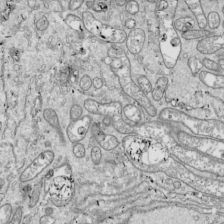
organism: Drosophila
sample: Cell division; meiosis; drosophila spermatocytes